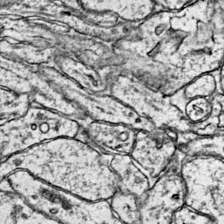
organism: Mouse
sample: Primary visual cortex